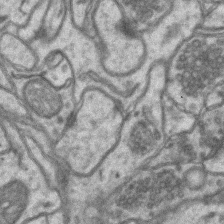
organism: Mouse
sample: CA1 Hippocampus